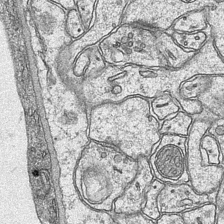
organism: Mouse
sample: CA1 Hippocampus